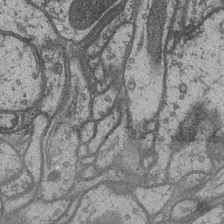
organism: Drosophila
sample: Optic medulla